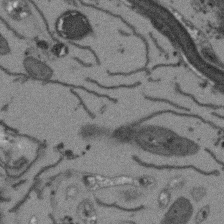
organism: Arabidopsis thaliana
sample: Root tip